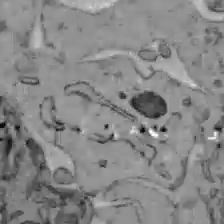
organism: C57BL Mouse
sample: Liver